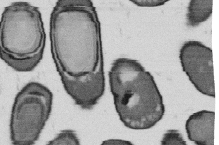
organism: B. subtilis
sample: Bacterial spore